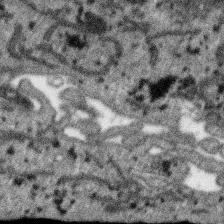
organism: Human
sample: Lung epithelial cells infected with SARS-CoV-2